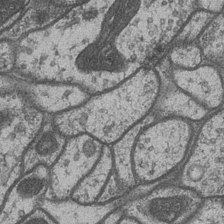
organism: Drosophila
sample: Optic medulla